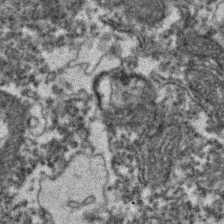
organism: Zebrafish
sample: Zebrafish embryo